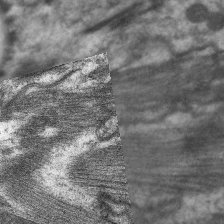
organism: C. elegans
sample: Pharynx